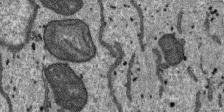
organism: Human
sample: Lung epithelial cells, uninfected (mock) control